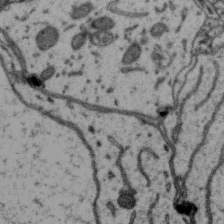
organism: Zebra finch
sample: Brain